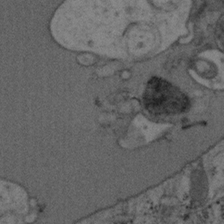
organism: Human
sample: HeLa cells